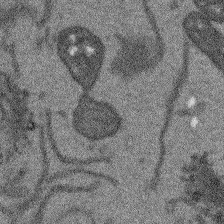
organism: Arabidopsis thaliana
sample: Root tip